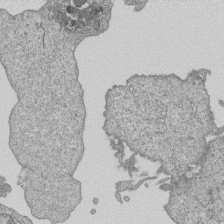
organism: Human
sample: MDA-MB-231 cells